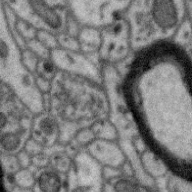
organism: Zebra finch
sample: Brain